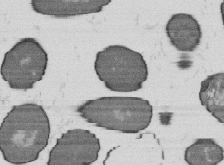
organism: B. subtilis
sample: Bacterial spore